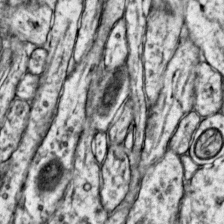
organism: Mouse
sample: Primary visual cortex